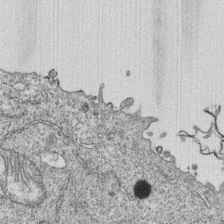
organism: Human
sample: HeLa cell HIV synapse